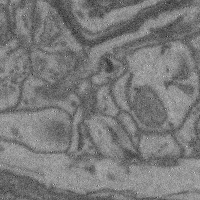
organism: Mouse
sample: Cerebral cortex